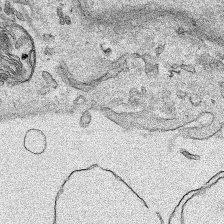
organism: Human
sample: Mitochondria in HCT116 cells